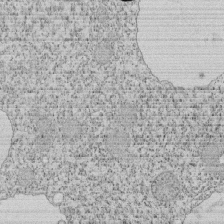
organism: Tetrahymena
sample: Cilia in tetrahymena